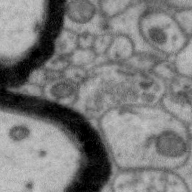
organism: Zebra finch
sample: Brain